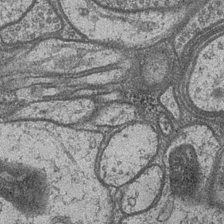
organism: Drosophila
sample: Optic medulla